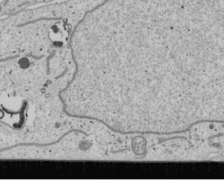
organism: Human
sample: Mitochondria in U2OS cells